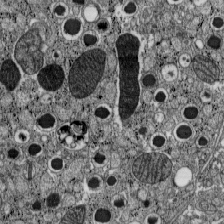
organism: C57BL Mouse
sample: Pancreatic islet